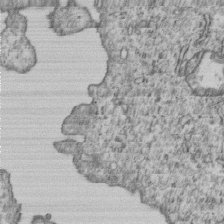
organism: Human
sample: MDA-MB-231 cells